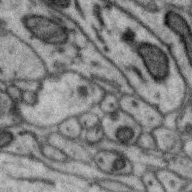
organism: Zebra finch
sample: Brain